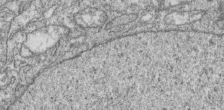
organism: Human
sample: HeLa cell HIV synapse